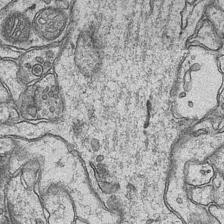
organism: Mouse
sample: CA1 Hippocampus